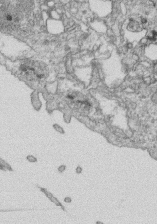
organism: Human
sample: HeLa cell HIV synapse